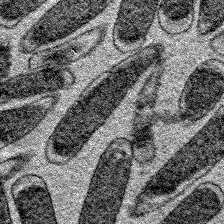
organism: E. coli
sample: E. Coli Bacteria